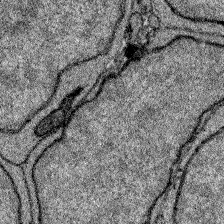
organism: Zebrafish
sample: Larval olfactory bulb